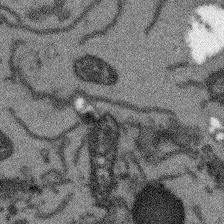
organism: Arabidopsis thaliana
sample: Root tip